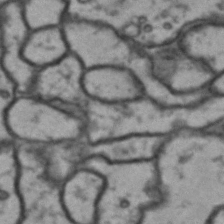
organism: Drosophila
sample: Brain